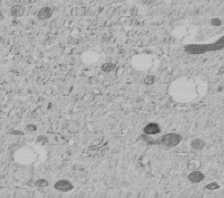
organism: C. elegans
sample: C. elegans embryo early stage